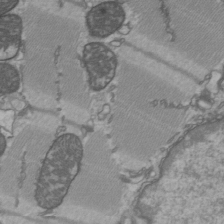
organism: C57BL Mouse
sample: Heart